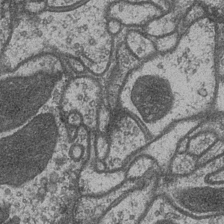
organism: Drosophila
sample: Optic medulla